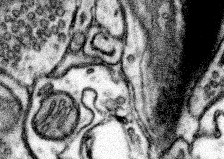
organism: Mouse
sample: Somatosensory cortex neuropil